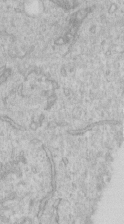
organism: Human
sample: Centriole in RPE cells